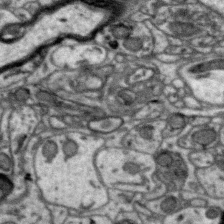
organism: Zebra finch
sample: Brain